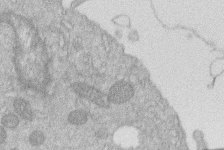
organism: Human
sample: Macrophage cells